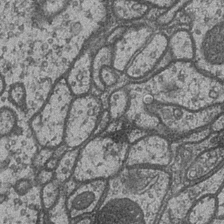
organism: Drosophila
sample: Optic medulla